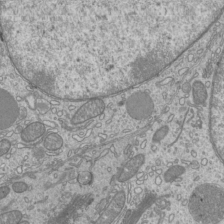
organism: Mouse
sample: Cilia; mouse epididymis